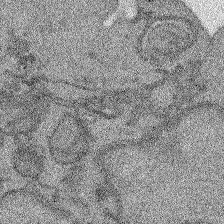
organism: Human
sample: HeLa cells